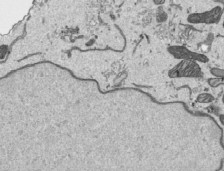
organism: Human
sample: Mitochondria in HCT116 cells